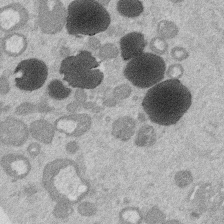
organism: Mouse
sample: Dividing mouse embryo 1 cell stage